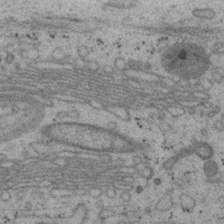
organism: Human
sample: HeLa cells